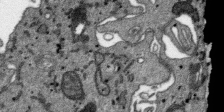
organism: Human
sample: Lung epithelial cells, uninfected (mock) control